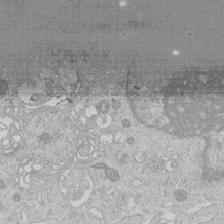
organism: Human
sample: Macrophage cells